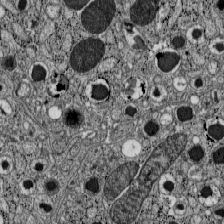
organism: C57BL Mouse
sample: Pancreatic islet